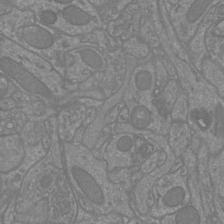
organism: Mouse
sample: Cortical neurons